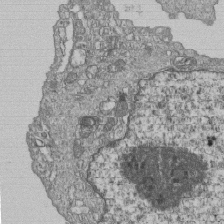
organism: Human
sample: MDA-MB-231 cells